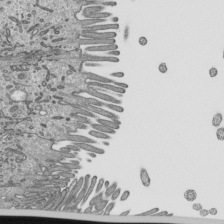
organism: Mouse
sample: Mouse epididymis efferent ductule cilia